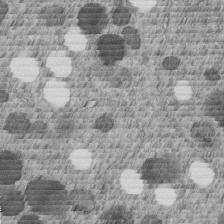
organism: C. elegans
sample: C. elegans embryo early stage